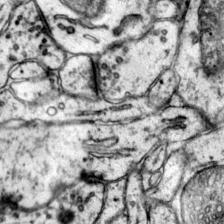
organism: Mouse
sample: Primary visual cortex